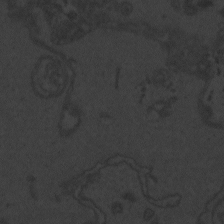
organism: Zebrafish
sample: Macrophage infected with Toxoplasma gondii